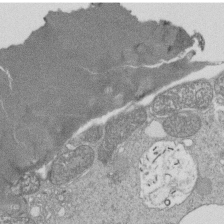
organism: Tetrahymena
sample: Cilia in tetrahymena